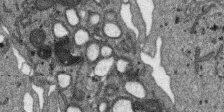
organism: Human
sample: Lung epithelial cells infected with SARS-CoV-2